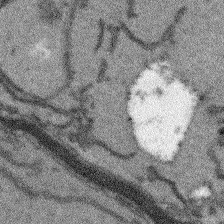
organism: Arabidopsis thaliana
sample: Root tip